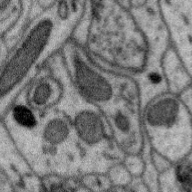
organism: Zebra finch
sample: Brain